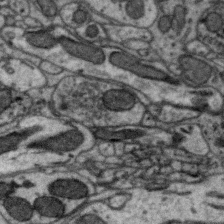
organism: Zebra finch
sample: Brain